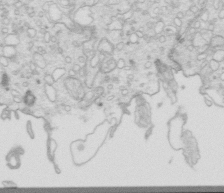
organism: Mouse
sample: Multiciliated cells